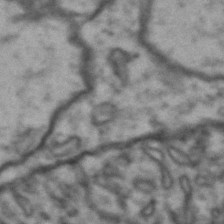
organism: Drosophila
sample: Brain